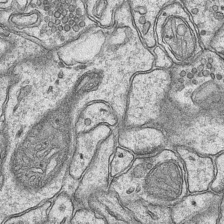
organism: Mouse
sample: CA1 Hippocampus